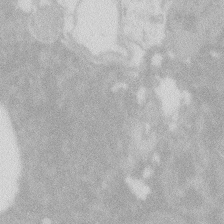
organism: Zebrafish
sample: Macrophage